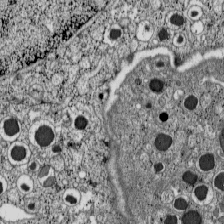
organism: C57BL Mouse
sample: Pancreatic islet